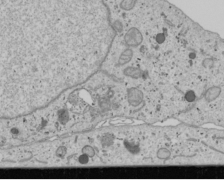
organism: Human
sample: Mitochondria in U2OS cells